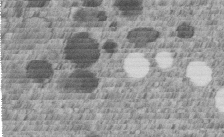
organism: C. elegans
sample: C. elegans embryo early stage